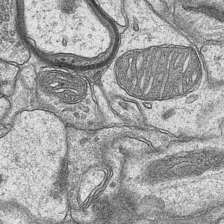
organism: Mouse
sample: CA1 Hippocampus